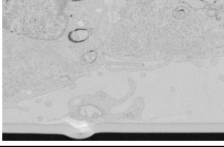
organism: Human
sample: Mitochondria in HCT116 cells